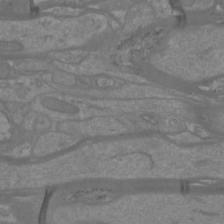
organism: Mouse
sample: Cortical neurons